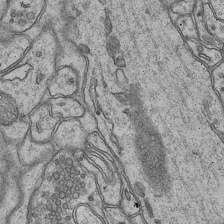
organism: Mouse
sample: CA1 Hippocampus